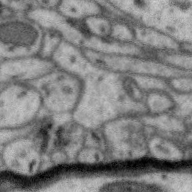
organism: Zebra finch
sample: Brain